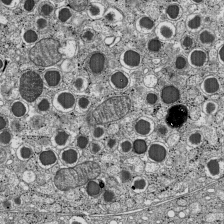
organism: C57BL Mouse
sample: Pancreatic islet